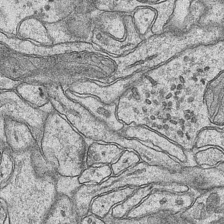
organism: Mouse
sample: CA1 Hippocampus